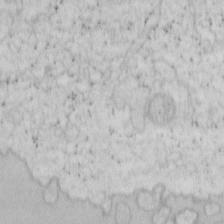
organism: Human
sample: HeLa cells